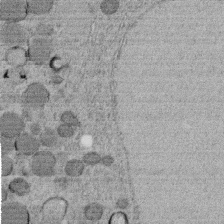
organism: C. elegans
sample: C. elegans embryo early stage